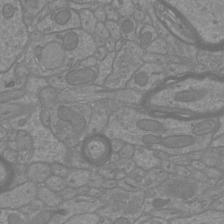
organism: Mouse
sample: Cortical neurons